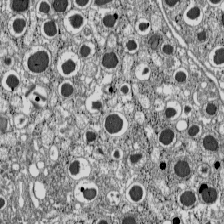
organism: C57BL Mouse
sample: Pancreatic islet